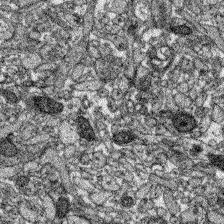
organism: Zebrafish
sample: Larval olfactory bulb